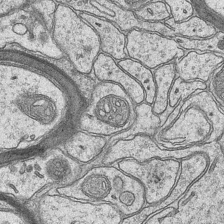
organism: Mouse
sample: CA1 Hippocampus